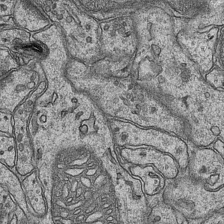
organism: Mouse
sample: CA1 Hippocampus